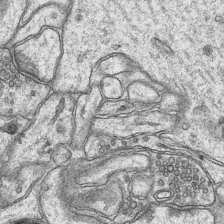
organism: Mouse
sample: CA1 Hippocampus